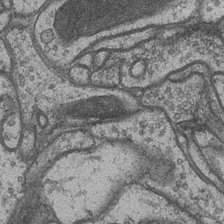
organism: Drosophila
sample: Optic medulla